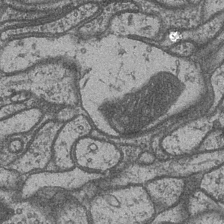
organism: Drosophila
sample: Optic medulla